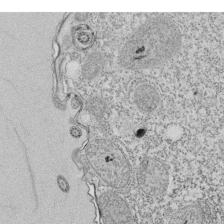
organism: Tetrahymena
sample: Cilia in tetrahymena